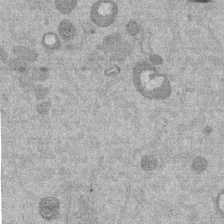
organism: Mouse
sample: Dividing mouse embryo 1 cell stage